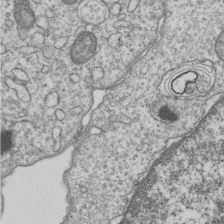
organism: Human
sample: MDA-MB-231 cells